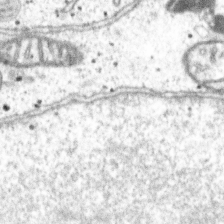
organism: Human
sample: HeLa cells